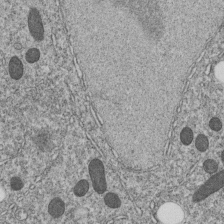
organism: C. elegans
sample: C. elegans embryo early stage